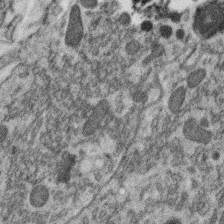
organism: C. elegans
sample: C. elegans oocyte; sperm cells